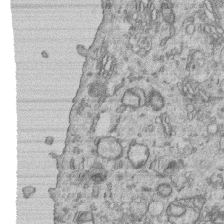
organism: Human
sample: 1205lu cells